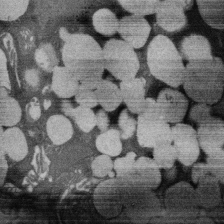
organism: Rat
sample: Salivary granule